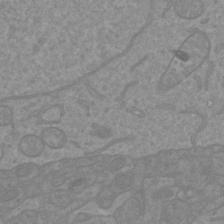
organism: Mouse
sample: Cortical neurons